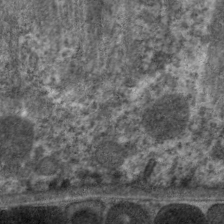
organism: C. elegans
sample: Pharynx